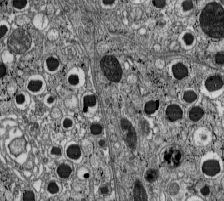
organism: C57BL Mouse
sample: Pancreatic islet